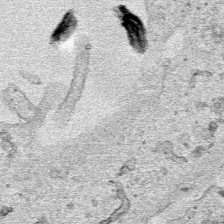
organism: Human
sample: Mitochondria in HCT116 cells